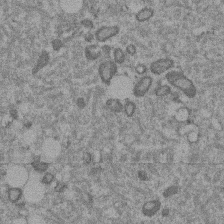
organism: Mouse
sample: Dividing mouse embryo 1 cell stage